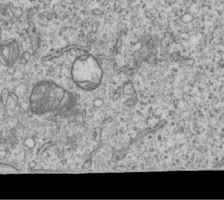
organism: Human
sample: MDA-MB-231 cells